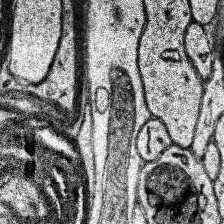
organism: Human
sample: Temporal Lobe